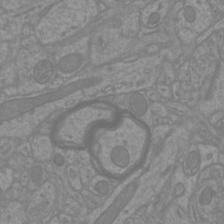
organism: Mouse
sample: Cortical neurons